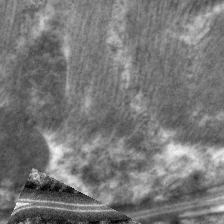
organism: C. elegans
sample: Pharynx